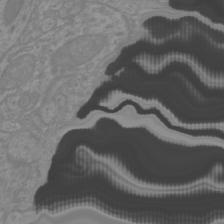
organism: Mouse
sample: Cortical neurons